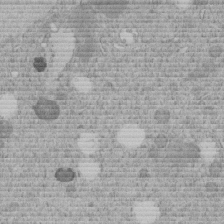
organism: C. elegans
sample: C. elegans embryo early stage